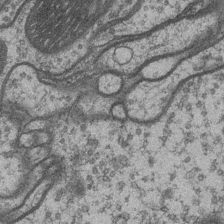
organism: Drosophila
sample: Optic medulla